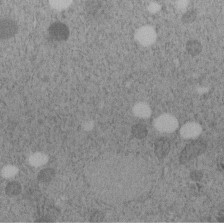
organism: C. elegans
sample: C. elegans embryo early stage